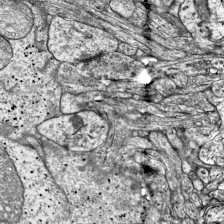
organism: Mouse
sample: Visual Cortex